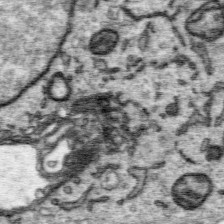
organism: Human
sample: HeLa cells